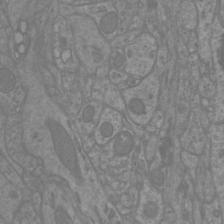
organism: Mouse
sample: Cortical neurons